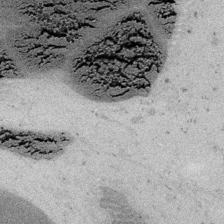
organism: Embia sp.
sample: Silk gland